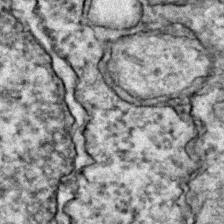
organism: Zebrafish